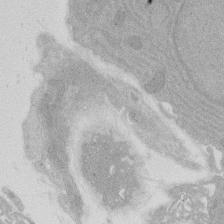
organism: Rat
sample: Salivary granule